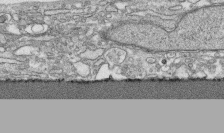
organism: Human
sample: CRL-1474